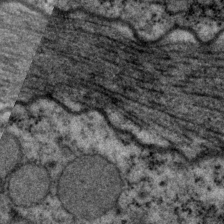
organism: P. pacificus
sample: Pharynx